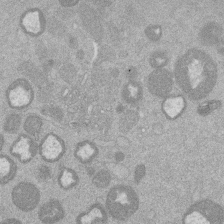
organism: Mouse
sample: Dividing mouse embryo 1 cell stage